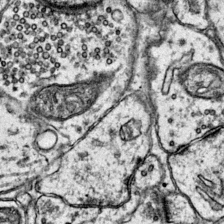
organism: Mouse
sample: Primary visual cortex